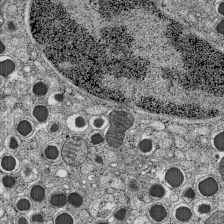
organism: C57BL Mouse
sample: Pancreatic islet